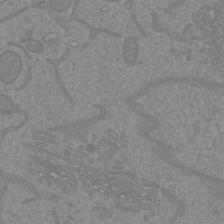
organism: Mouse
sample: Cortical neurons